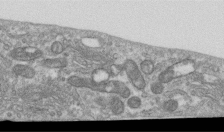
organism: Human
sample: Centriole in RPE cells